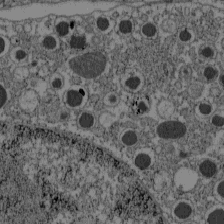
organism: C57BL Mouse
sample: Pancreatic islet